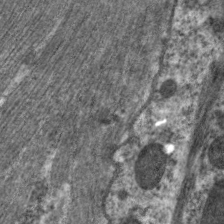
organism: C. elegans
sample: Pharynx